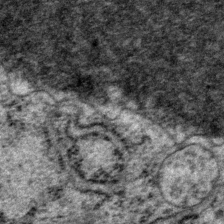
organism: P. pacificus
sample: Pharynx